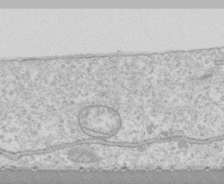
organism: Human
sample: CRL-1474